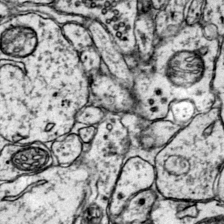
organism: Mouse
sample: Primary visual cortex